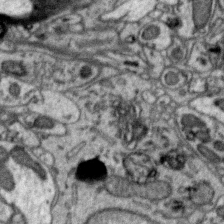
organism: Zebra finch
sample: Brain